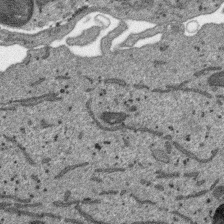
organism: Human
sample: Lung epithelial cells infected with SARS-CoV-2